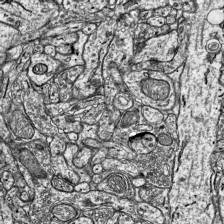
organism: Mouse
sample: Visual Cortex